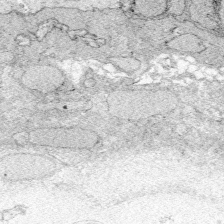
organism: Zebrafish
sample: Whole-Brain